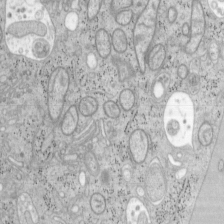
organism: Mouse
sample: OT-I killer T cells with ID8 ovarian cancer cells